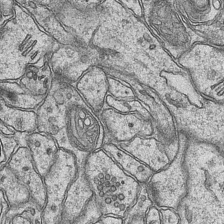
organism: Mouse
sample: CA1 Hippocampus